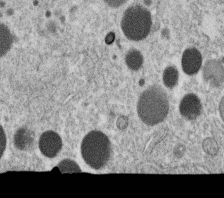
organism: C. elegans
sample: C. elegans oocyte; sperm cells